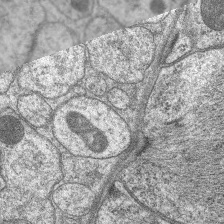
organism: C. elegans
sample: Pharynx